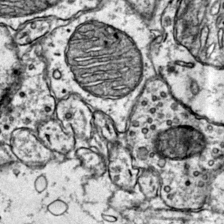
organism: Mouse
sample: Primary visual cortex